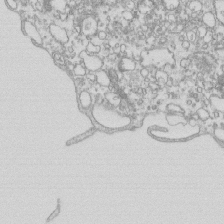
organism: Mouse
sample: Macrophages